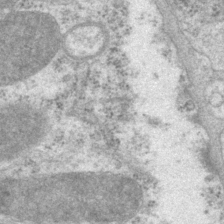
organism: P. pacificus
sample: Pharynx